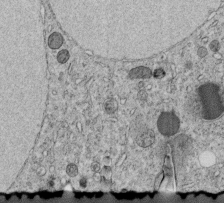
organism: C. elegans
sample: C. elegans embryo early stage